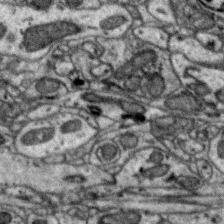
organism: Zebra finch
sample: Brain